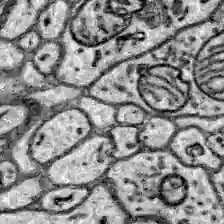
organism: Zebrafish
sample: Brain